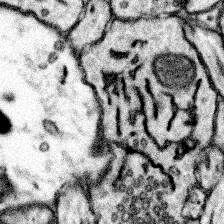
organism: Mouse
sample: Somatosensory cortex neuropil